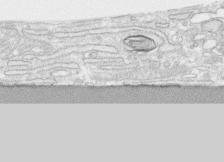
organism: Human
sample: CRL-1474